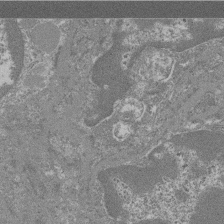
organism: Mouse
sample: Glomerulus